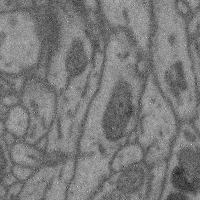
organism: Mouse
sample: Cerebral cortex